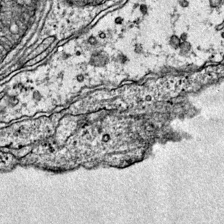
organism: Mouse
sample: Primary visual cortex